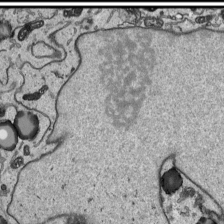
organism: Human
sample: Mitochondria in HCT116 cells